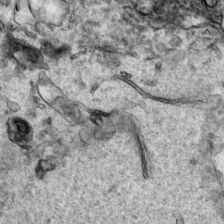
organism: Human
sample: Mitochondria in HCT116 cells